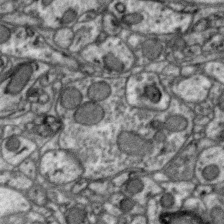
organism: Zebra finch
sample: Brain